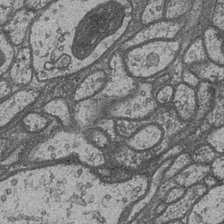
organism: Drosophila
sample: Optic medulla